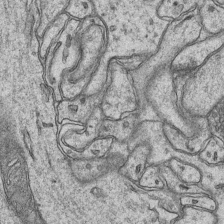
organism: Mouse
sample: CA1 Hippocampus